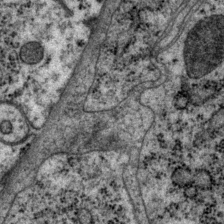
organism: P. pacificus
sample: Pharynx